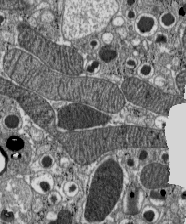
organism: C57BL Mouse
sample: Pancreatic islet